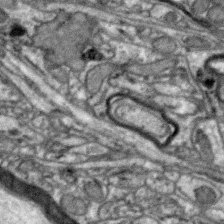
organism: Zebra finch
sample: Brain